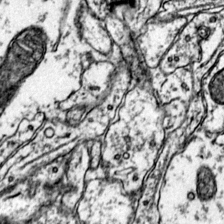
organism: Mouse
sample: Primary visual cortex